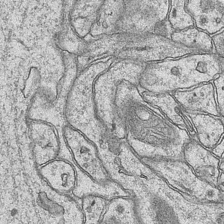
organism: Mouse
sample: CA1 Hippocampus